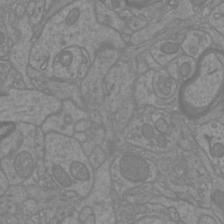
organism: Mouse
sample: Cortical neurons